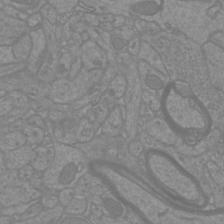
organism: Mouse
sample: Cortical neurons